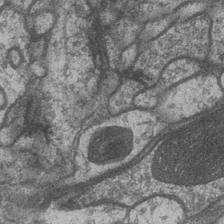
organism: Drosophila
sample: Optic medulla